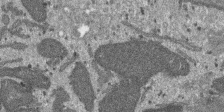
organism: Human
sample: Lung epithelial cells infected with SARS-CoV-2